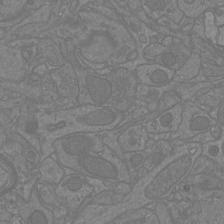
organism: Mouse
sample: Cortical neurons